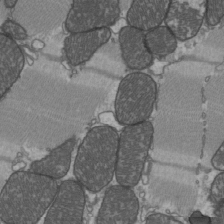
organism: C57BL Mouse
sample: Heart